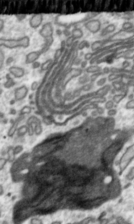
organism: Toxoplasma gondii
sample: Parasites in a vacuole inside a host cell